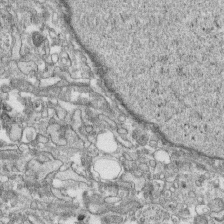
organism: Human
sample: CRL-1474